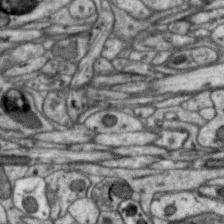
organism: Zebra finch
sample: Brain